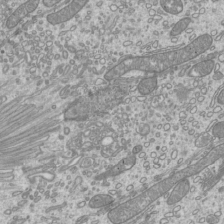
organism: Mouse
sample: Cilia; mouse epididymis